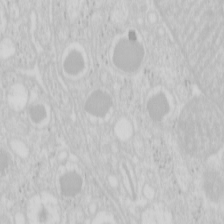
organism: Mouse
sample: Pancreas